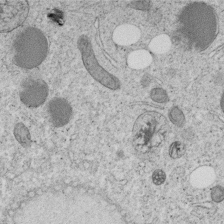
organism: C. elegans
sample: C. elegans embryo early stage